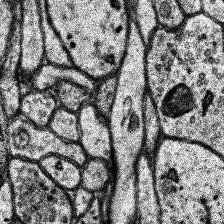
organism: Human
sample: Temporal Lobe